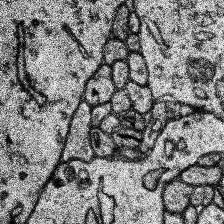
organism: Human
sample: Temporal Lobe